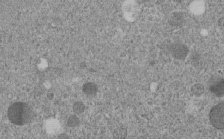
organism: C. elegans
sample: C. elegans embryo early stage